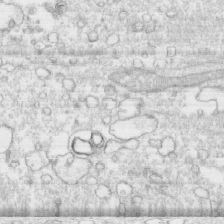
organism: Human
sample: CRL-1474